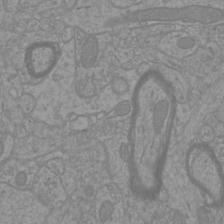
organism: Mouse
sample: Cortical neurons